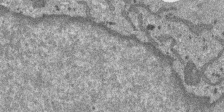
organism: Human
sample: Lung epithelial cells infected with SARS-CoV-2